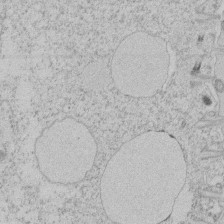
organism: Tetrahymena